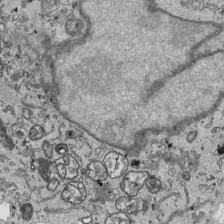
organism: Human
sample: Mitochondria in HCT116 cells